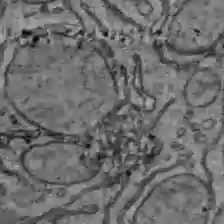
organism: C57BL Mouse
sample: Liver